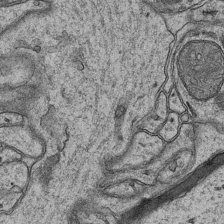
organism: Mouse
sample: CA1 Hippocampus